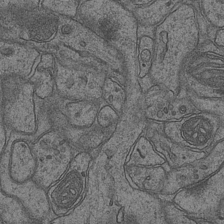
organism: Mouse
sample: CA1 Hippocampus